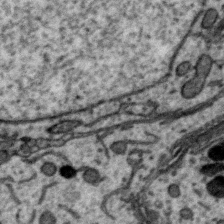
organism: Zebra finch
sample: Brain